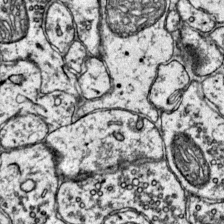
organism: Mouse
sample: Primary visual cortex